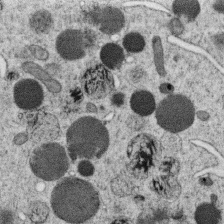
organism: C. elegans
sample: C. elegans oocyte; sperm cells